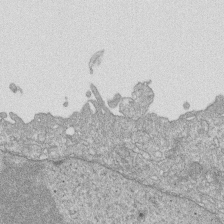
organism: Human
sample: HeLa cell HIV synapse